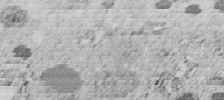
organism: C. elegans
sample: C. elegans embryo early stage